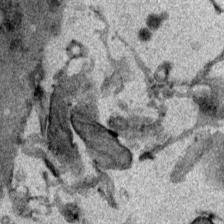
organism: Mouse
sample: Cancer cell death in ED-1 cells